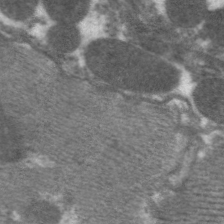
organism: C. elegans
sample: Pharynx